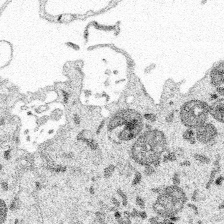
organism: Spongilla lacustris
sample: Multiple